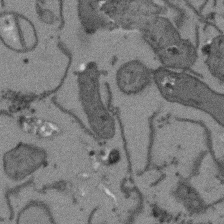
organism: Arabidopsis thaliana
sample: Root tip